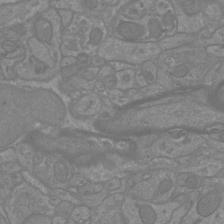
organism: Mouse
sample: Cortical neurons